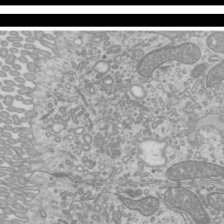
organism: Mouse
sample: Cilia; mouse epididymis